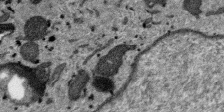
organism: Human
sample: Lung epithelial cells, uninfected (mock) control